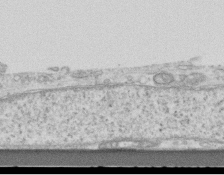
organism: Mouse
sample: Centriole in ependymal cells